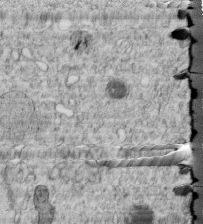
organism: C. elegans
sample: C. elegans embryo early stage